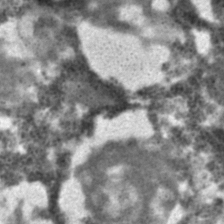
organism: C. elegans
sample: C. elegans embryo